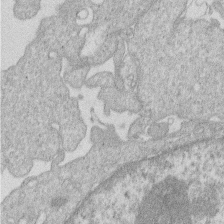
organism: Human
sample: Macrophage cells